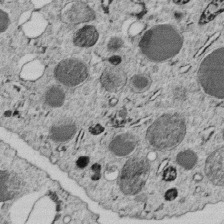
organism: C. elegans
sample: C. elegans embryo early stage